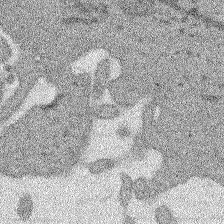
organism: Human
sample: HeLa cells